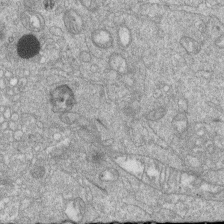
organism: Human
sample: HeLa cell HIV synapse